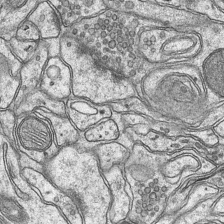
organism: Mouse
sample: CA1 Hippocampus